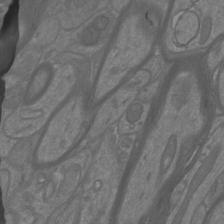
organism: Mouse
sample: Cortical neurons